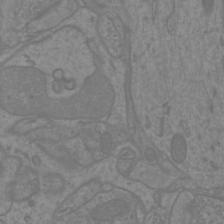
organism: Mouse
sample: Cortical neurons